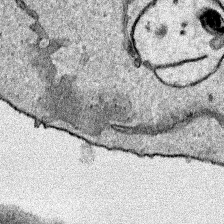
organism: Human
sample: Mitochondria in HCT116 cells